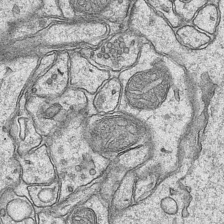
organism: Mouse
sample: CA1 Hippocampus